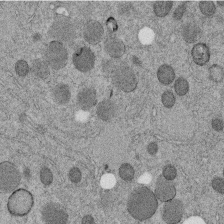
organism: C. elegans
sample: C. elegans embryo early stage